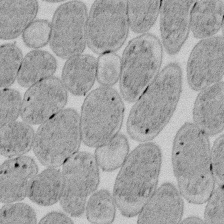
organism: E. coli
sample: Bacterial nucleoid